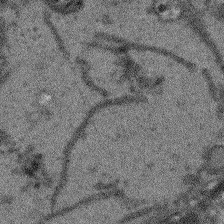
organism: Arabidopsis thaliana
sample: Root tip